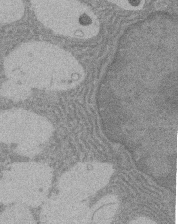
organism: Rat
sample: Salivary granule